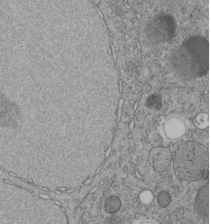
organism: C. elegans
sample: C. elegans embryo early stage